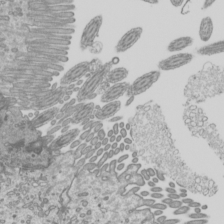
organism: Mouse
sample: Cilia; mouse epididymis